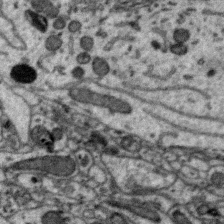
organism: Zebra finch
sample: Brain